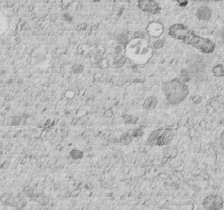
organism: C. elegans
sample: C. elegans embryo early stage